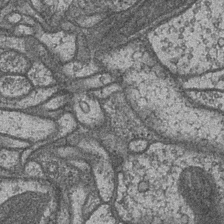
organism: Drosophila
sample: Optic medulla